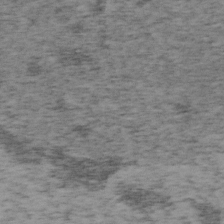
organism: Mouse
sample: OT-I killer T cells with ID8 ovarian cancer cells